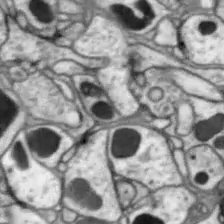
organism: Drosophila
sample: Optic lobe